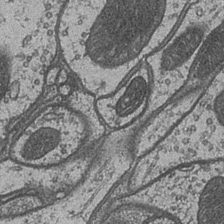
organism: Drosophila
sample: Optic medulla